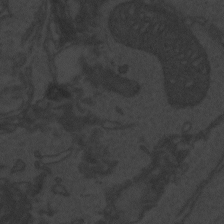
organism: Zebrafish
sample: Macrophage infected with Toxoplasma gondii